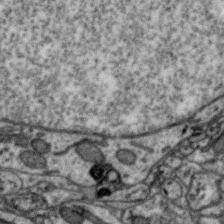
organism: Zebra finch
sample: Brain